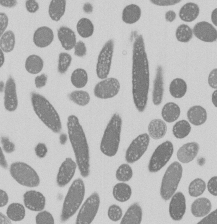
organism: E. coli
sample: Bacterial nucleoid